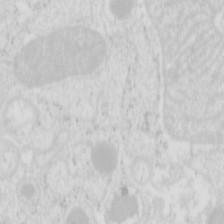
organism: Mouse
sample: Pancreas